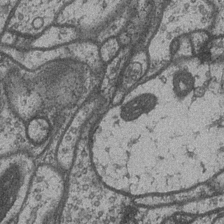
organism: Drosophila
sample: Optic medulla